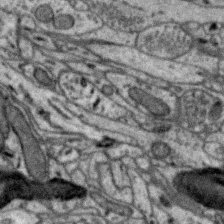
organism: Zebra finch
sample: Brain